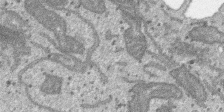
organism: Human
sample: Lung epithelial cells infected with SARS-CoV-2